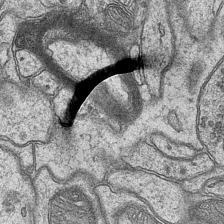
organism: Mouse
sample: CA1 Hippocampus